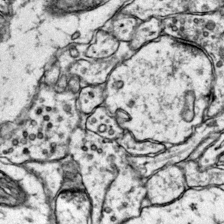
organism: Mouse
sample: Primary visual cortex